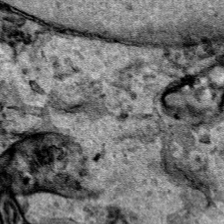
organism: Human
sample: Mitochondria in HCT116 cells